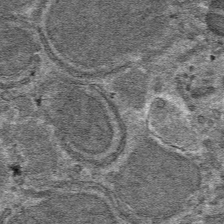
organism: Mouse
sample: Mouse hepatocytes